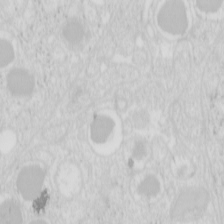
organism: Mouse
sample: Pancreas